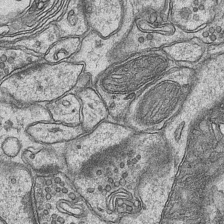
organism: Mouse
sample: CA1 Hippocampus